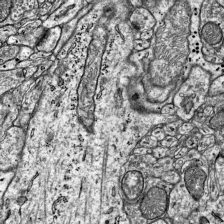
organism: Mouse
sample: Visual Cortex